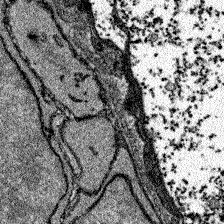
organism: Zebrafish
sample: Larval olfactory bulb